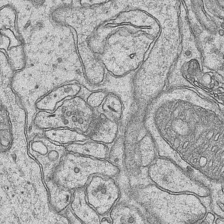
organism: Mouse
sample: CA1 Hippocampus